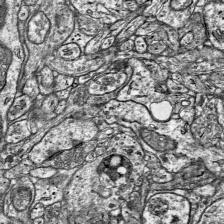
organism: Mouse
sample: Visual Cortex